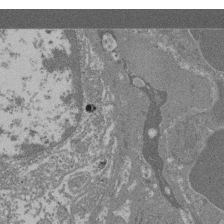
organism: Mouse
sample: Glomerulus